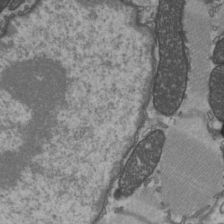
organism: C57BL Mouse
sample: Heart